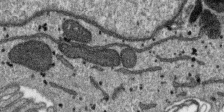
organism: Human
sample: Lung epithelial cells, uninfected (mock) control